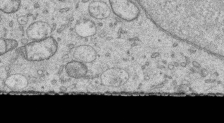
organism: Human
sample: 1205lu cells